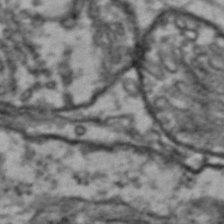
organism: Drosophila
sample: Brain